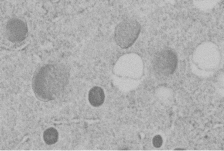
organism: C. elegans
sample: C. elegans embryo early stage